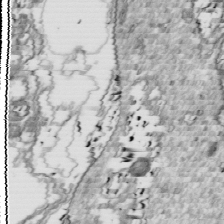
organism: Drosophila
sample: Cell division; meiosis; drosophila spermatocytes